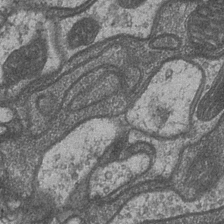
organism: Drosophila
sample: Optic medulla